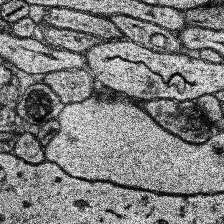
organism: Human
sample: Temporal Lobe